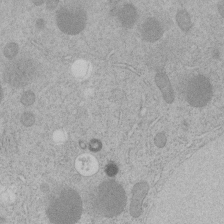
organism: C. elegans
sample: C. elegans embryo early stage